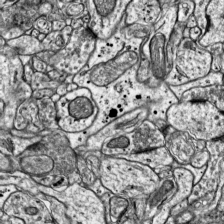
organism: Mouse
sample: Visual Cortex